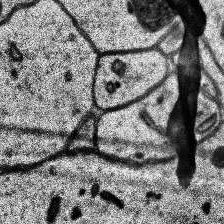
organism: Human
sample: Temporal Lobe